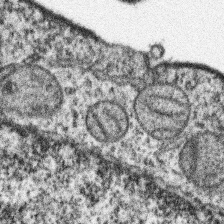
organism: Human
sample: HeLa cells